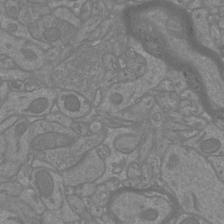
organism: Mouse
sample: Cortical neurons